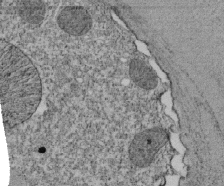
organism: Tetrahymena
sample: Cilia in tetrahymena